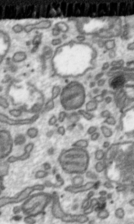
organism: Toxoplasma gondii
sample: Parasites in a vacuole inside a host cell